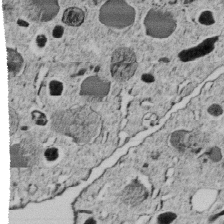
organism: C. elegans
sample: C. elegans embryo early stage